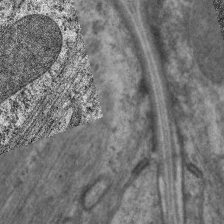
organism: C. elegans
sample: Pharynx